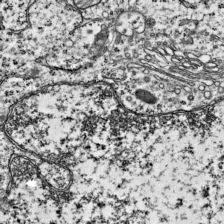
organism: Mouse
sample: Visual Cortex